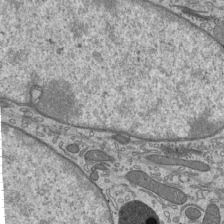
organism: Mouse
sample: Mouse epididymis efferent ductule cilia